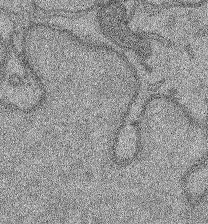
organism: Human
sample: HeLa cells